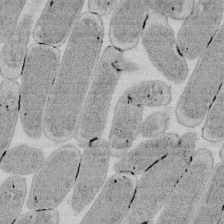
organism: E. coli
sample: Bacterial nucleoid